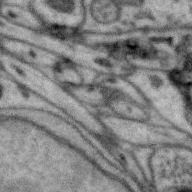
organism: Zebra finch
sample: Brain